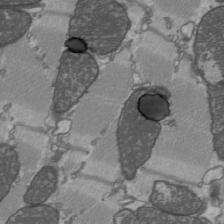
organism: C57BL Mouse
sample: Heart